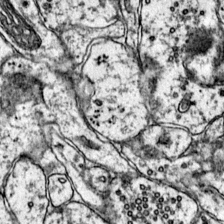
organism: Mouse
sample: Primary visual cortex